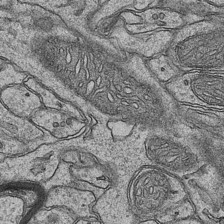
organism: Mouse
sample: CA1 Hippocampus